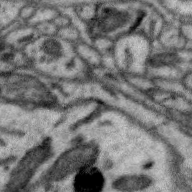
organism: Zebra finch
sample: Brain